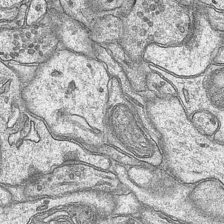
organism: Mouse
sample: CA1 Hippocampus